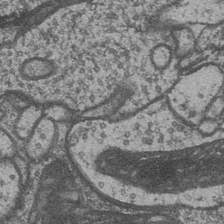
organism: Drosophila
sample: Optic medulla